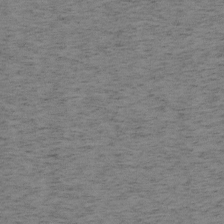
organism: Mouse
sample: OT-I killer T cells with ID8 ovarian cancer cells